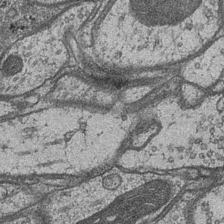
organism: Drosophila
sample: Optic medulla